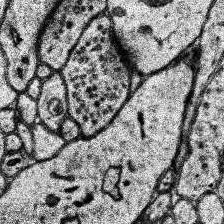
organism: Human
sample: Temporal Lobe